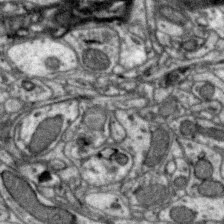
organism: Zebra finch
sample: Brain